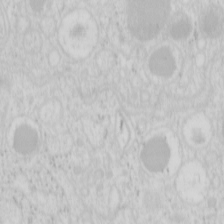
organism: Mouse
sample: Pancreas